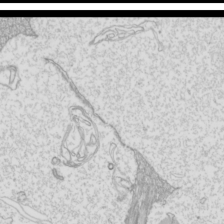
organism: Mouse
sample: Cilia; mouse epididymis